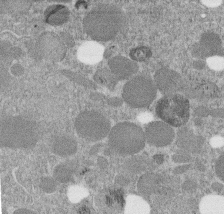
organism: C. elegans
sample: C. elegans embryo early stage